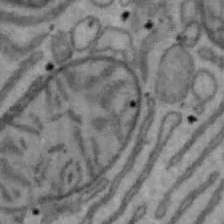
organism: Mouse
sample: Liver